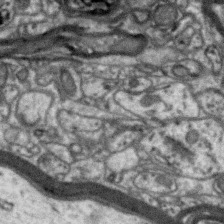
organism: Zebra finch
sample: Brain